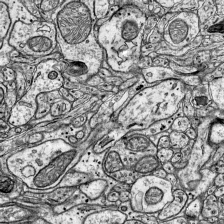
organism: Mouse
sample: Visual Cortex